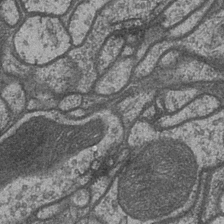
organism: Drosophila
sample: Optic medulla